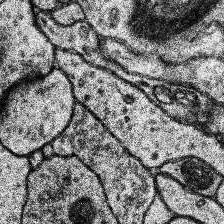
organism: Human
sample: Temporal Lobe